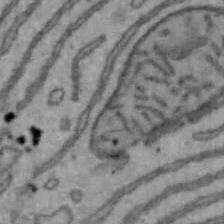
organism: Mouse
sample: Liver